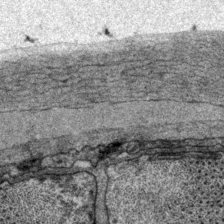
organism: P. pacificus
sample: Pharynx